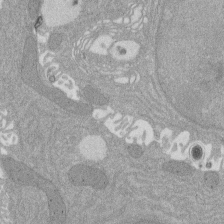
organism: Rat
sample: Salivary granule